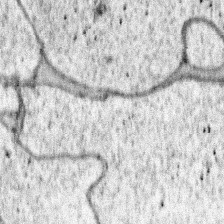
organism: Human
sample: HeLa cells